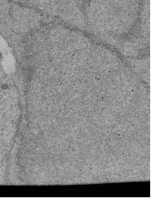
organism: Human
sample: Retinal organoid Rod and Cone cells